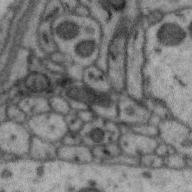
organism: Zebra finch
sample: Brain